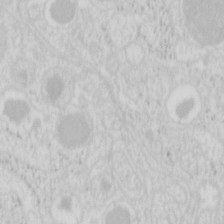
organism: Mouse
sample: Pancreas